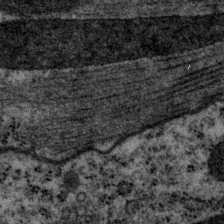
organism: P. pacificus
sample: Pharynx